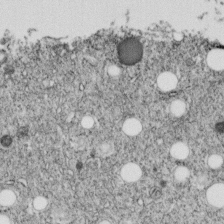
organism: C. elegans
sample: C. elegans embryo early stage